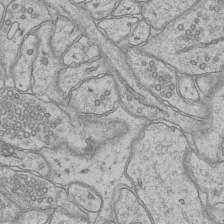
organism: Mouse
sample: CA1 Hippocampus